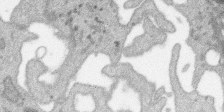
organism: Human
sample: Lung epithelial cells infected with SARS-CoV-2